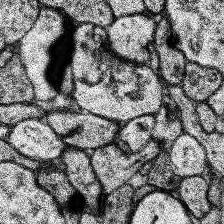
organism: Human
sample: Temporal Lobe